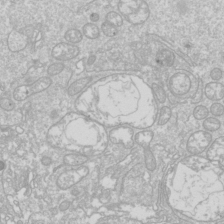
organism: Drosophila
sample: Cell division; meiosis; drosophila spermatocytes